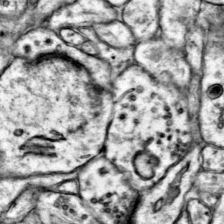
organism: Mouse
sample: Primary visual cortex